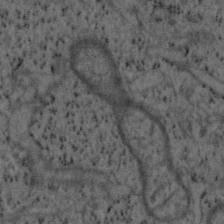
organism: Human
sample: HeLa cells